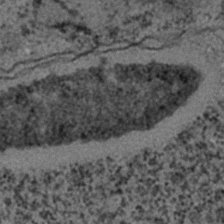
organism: C. elegans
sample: C. elegans embryo